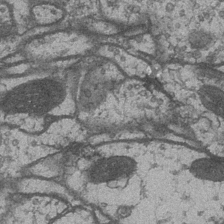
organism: Drosophila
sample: Optic medulla